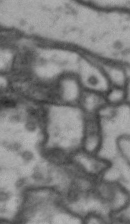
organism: Drosophila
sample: Brain